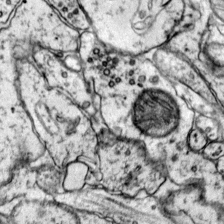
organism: Mouse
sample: Primary visual cortex